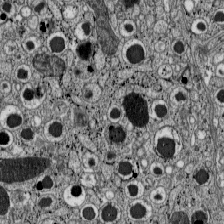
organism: C57BL Mouse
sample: Pancreatic islet